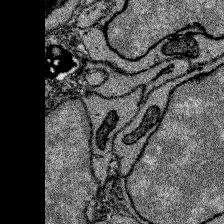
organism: Zebrafish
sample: Larval olfactory bulb